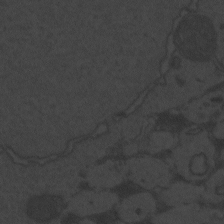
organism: Zebrafish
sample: Macrophage infected with Toxoplasma gondii